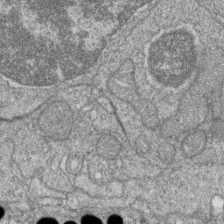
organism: Zebrafish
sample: Cilia; retinal pigment epithelium